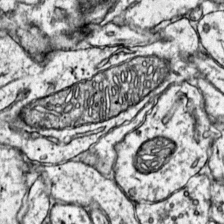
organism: Mouse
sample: Primary visual cortex